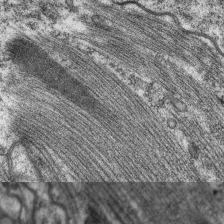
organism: C. elegans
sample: Pharynx